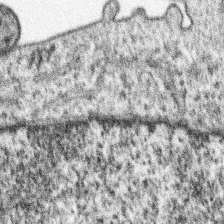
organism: Human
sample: HeLa cells